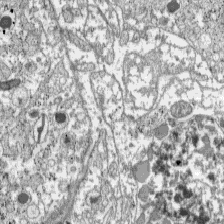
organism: C57BL Mouse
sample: Pancreatic islet